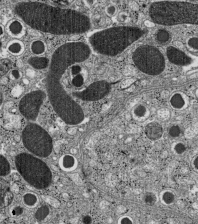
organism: C57BL Mouse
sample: Pancreatic islet